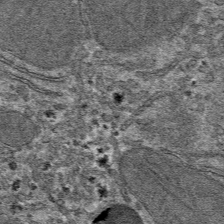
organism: Mouse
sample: Mouse hepatocytes